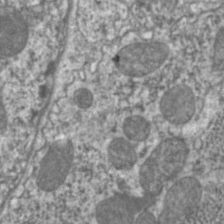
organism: C. elegans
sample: Pharynx